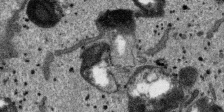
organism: Human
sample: Lung epithelial cells, uninfected (mock) control